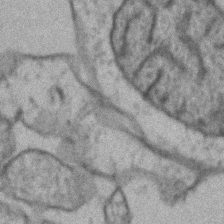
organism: Zebrafish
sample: Zebrafish embryo